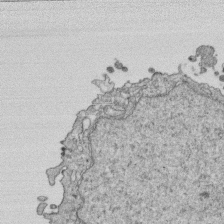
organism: Human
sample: HeLa cell HIV synapse